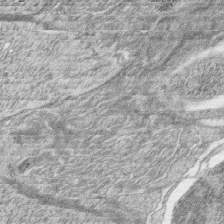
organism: Zebrafish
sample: synaptic ribbons in rod cells and cone cells